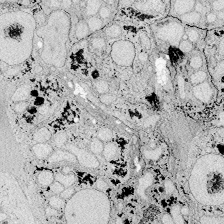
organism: Zebrafish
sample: Whole-Brain